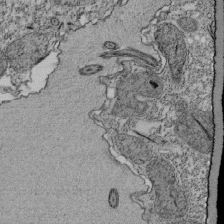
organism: Tetrahymena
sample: Cilia in tetrahymena